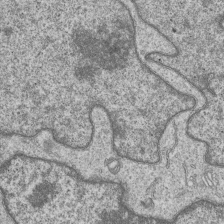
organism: Human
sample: MDA-MB-231 cells